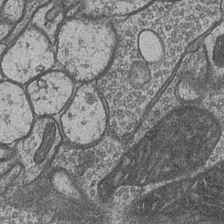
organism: Drosophila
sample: Optic medulla